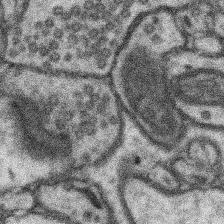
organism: Mouse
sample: Somatosensory cortex neuropil